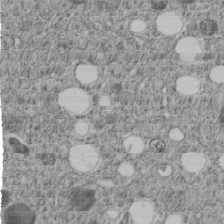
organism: C. elegans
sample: C. elegans embryo early stage